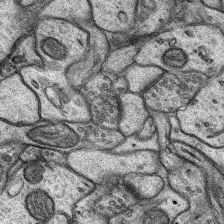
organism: Rat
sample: Hippocampus